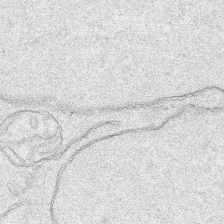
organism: Human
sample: Mitochondria in HCT116 cells